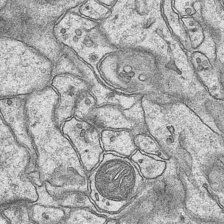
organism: Mouse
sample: CA1 Hippocampus